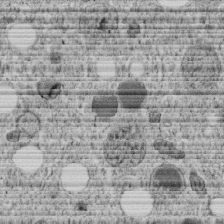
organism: C. elegans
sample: C. elegans embryo early stage